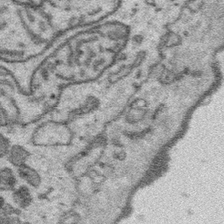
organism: Platynereis dumerilii